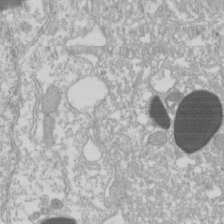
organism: Xenopus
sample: Cilia; centrioles in frog embryo cells